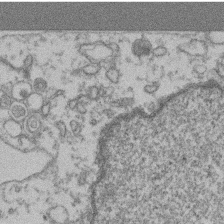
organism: Mouse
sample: T cell stromal cell synapse